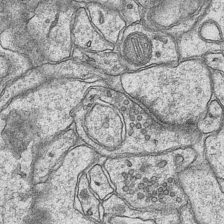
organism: Mouse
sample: CA1 Hippocampus